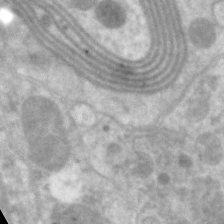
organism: C. elegans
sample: Pharynx